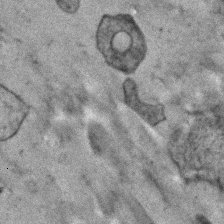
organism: Human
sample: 1205lu cells